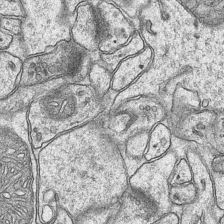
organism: Mouse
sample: CA1 Hippocampus